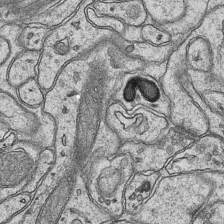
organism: Mouse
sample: CA1 Hippocampus